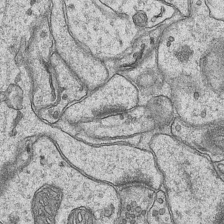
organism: Mouse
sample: CA1 Hippocampus